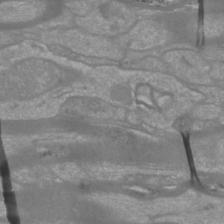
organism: Mouse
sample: Cortical neurons